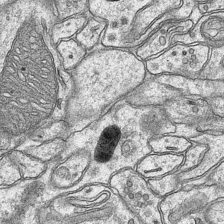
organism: Mouse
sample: CA1 Hippocampus